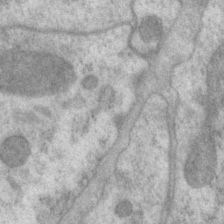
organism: P. pacificus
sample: Pharynx